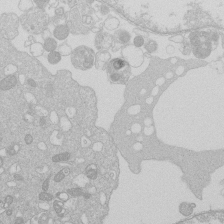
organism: Human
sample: Macrophage cells